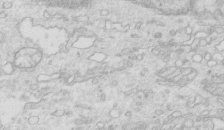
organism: Mouse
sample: Multiciliated cells